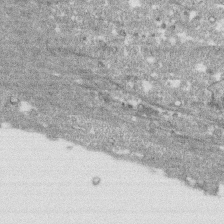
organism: Human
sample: CRL-1474